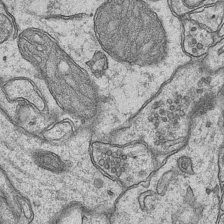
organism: Mouse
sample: CA1 Hippocampus